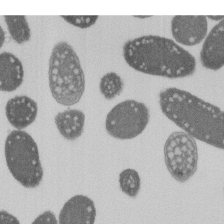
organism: E. coli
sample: Bacterial nucleoid